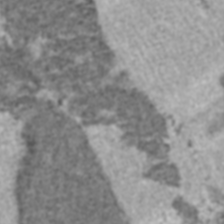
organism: C57BL Mouse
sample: Heart